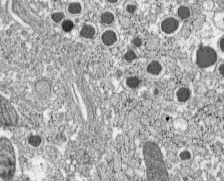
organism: C57BL Mouse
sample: Pancreatic islet